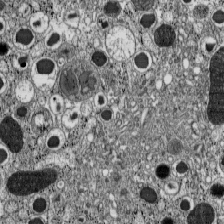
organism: C57BL Mouse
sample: Pancreatic islet